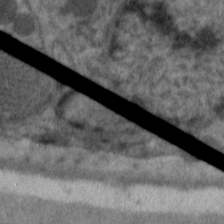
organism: C. elegans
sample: Pharynx